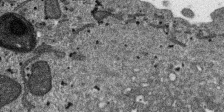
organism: Human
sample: Lung epithelial cells infected with SARS-CoV-2